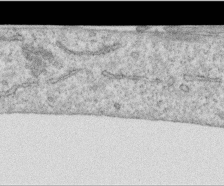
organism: Human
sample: Centriole in RPE cells